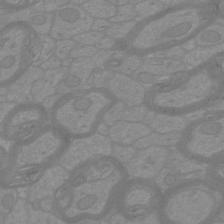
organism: Mouse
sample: Cortical neurons